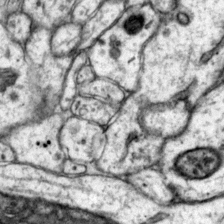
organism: Mouse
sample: Primary visual cortex